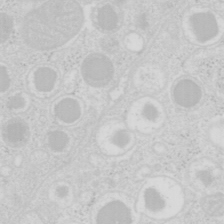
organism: Mouse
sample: Pancreas